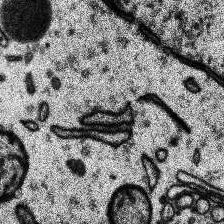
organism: Human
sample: Temporal Lobe